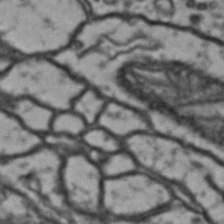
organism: Drosophila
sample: Brain